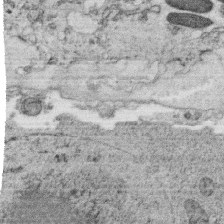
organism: C. elegans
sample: C. elegans oocyte; sperm cells